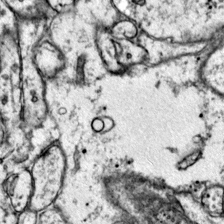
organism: Mouse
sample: Primary visual cortex